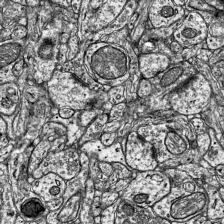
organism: Mouse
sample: Visual Cortex